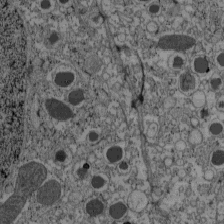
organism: C57BL Mouse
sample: Pancreatic islet